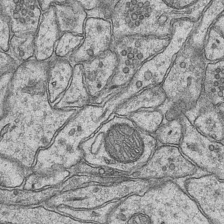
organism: Mouse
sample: CA1 Hippocampus